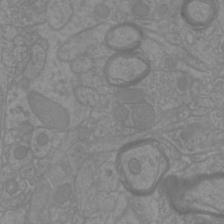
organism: Mouse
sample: Cortical neurons